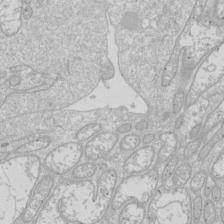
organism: Drosophila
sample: Cell division; meiosis; drosophila spermatocytes